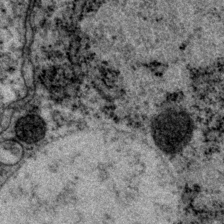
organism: P. pacificus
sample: Pharynx